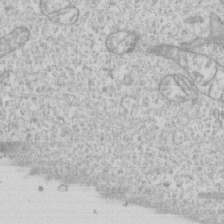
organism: Human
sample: CRL-1474